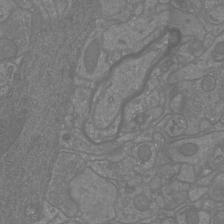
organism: Mouse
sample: Cortical neurons